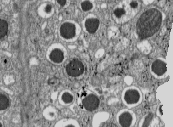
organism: C57BL Mouse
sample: Pancreatic islet